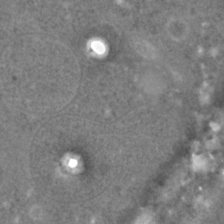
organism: C. elegans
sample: C. elegans embryo